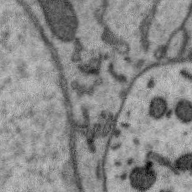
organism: Zebra finch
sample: Brain